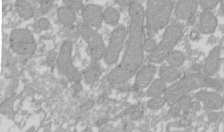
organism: Xenopus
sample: Cilia; centrioles in frog embryo cells